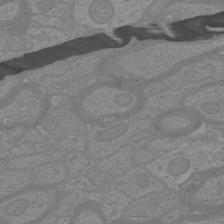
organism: Mouse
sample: Cortical neurons